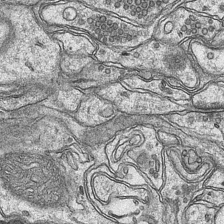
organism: Mouse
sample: CA1 Hippocampus